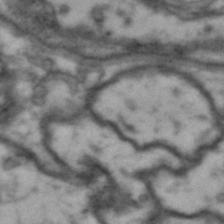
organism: Drosophila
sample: Brain